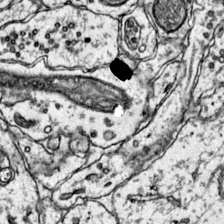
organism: Mouse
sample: Primary visual cortex